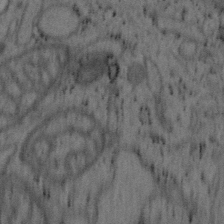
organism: Human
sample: HeLa cells